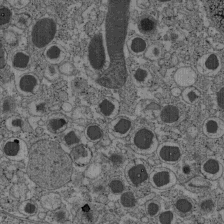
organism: C57BL Mouse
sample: Pancreatic islet